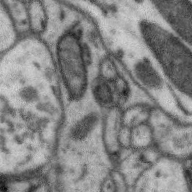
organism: Zebra finch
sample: Brain